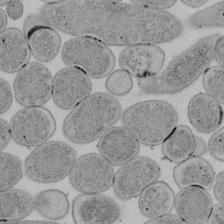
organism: E. coli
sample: Bacterial nucleoid